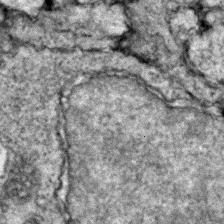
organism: Zebrafish